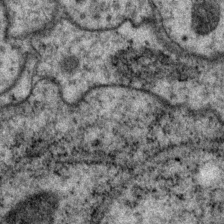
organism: P. pacificus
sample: Pharynx